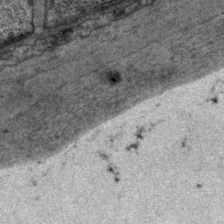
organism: P. pacificus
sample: Pharynx